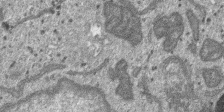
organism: Human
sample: Lung epithelial cells infected with SARS-CoV-2